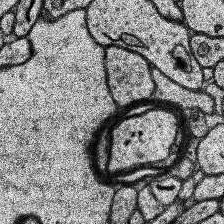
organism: Human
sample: Temporal Lobe